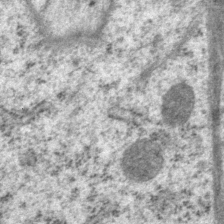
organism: P. pacificus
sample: Pharynx